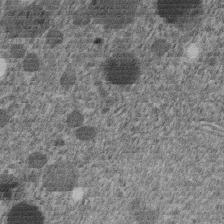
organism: C. elegans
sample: C. elegans embryo early stage